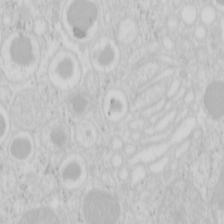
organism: Mouse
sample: Pancreas